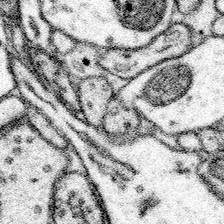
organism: Mouse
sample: Somatosensory cortex neuropil